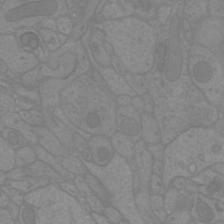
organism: Mouse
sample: Cortical neurons